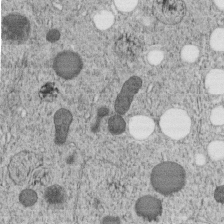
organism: C. elegans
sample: C. elegans embryo early stage